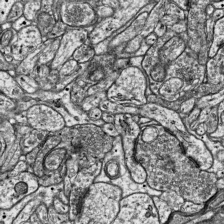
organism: Mouse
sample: Visual Cortex